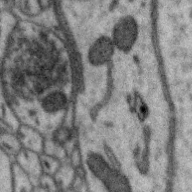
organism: Zebra finch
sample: Brain